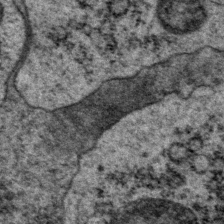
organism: P. pacificus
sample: Pharynx